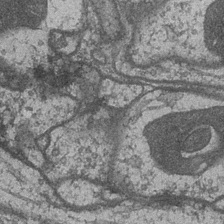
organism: Drosophila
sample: Optic medulla